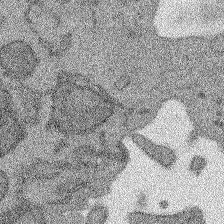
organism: Human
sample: HeLa cells